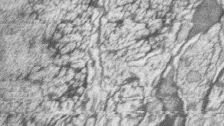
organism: Zebrafish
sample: synaptic ribbons in rod cells and cone cells